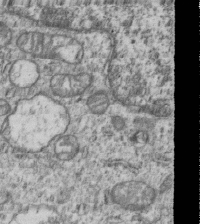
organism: Human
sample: MDA-MB-231 cells